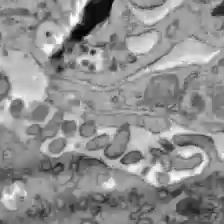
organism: C57BL Mouse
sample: Liver